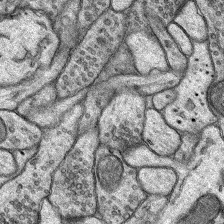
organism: Rat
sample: Hippocampus